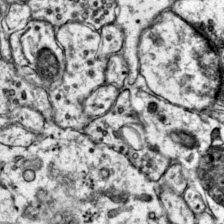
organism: Mouse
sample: Primary visual cortex